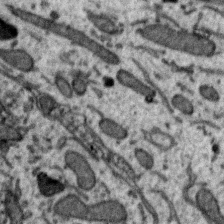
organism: Zebra finch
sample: Brain